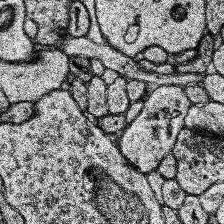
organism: Human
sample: Temporal Lobe